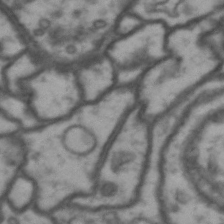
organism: Drosophila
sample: Brain